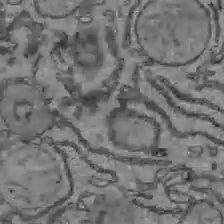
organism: C57BL Mouse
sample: Liver